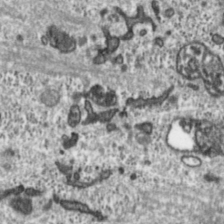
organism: Toxoplasma gondii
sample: Parasites in a vacuole inside a host cell